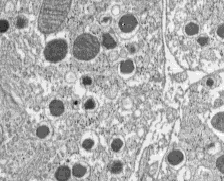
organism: C57BL Mouse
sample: Pancreatic islet